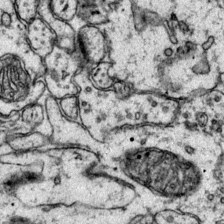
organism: Mouse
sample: Primary visual cortex